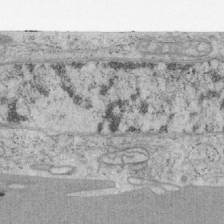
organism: Human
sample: HeLa cells